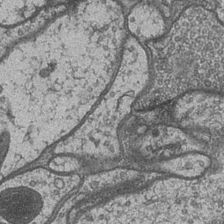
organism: Drosophila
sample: Optic medulla